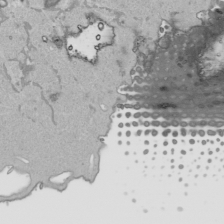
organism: Human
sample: Mitochondria in HCT116 cells